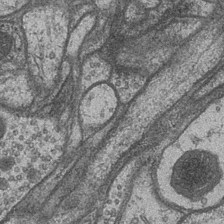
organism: Drosophila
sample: Optic medulla